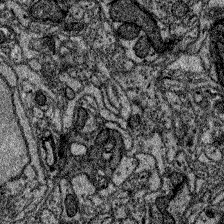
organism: Zebrafish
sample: Larval olfactory bulb